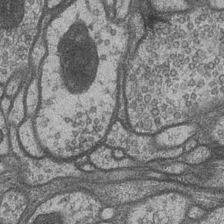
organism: Drosophila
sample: Optic medulla